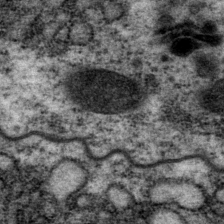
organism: P. pacificus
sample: Pharynx